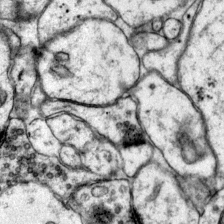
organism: Mouse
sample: Primary visual cortex